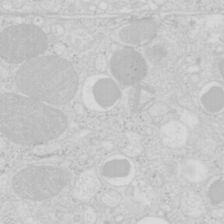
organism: Mouse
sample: Pancreas